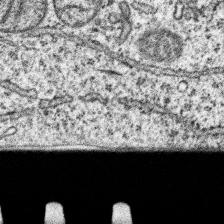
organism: Human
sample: HeLa cells